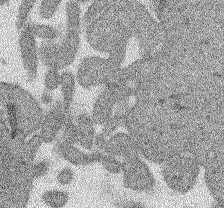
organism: Human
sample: HeLa cells